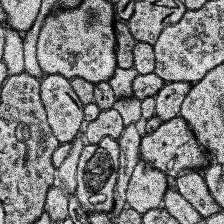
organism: Human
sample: Temporal Lobe